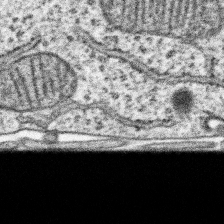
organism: Human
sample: HeLa cells